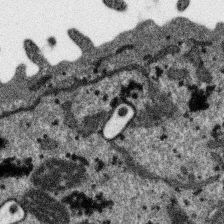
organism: Human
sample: Lung epithelial cells infected with SARS-CoV-2